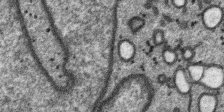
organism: Human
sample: Lung epithelial cells infected with SARS-CoV-2